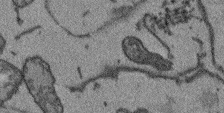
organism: Arabidopsis thaliana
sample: Root tip